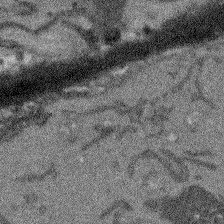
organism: Arabidopsis thaliana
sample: Root tip